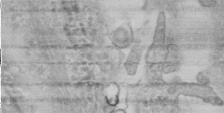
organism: Human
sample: Cilia; basal body in RPE cells